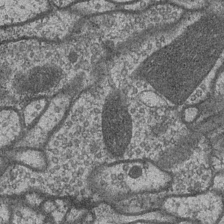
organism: Drosophila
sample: Optic medulla